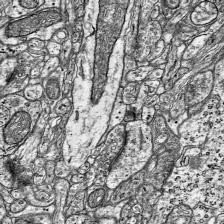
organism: Mouse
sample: Visual Cortex